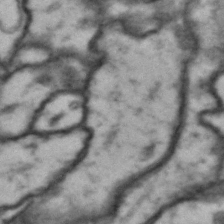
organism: Drosophila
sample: Brain